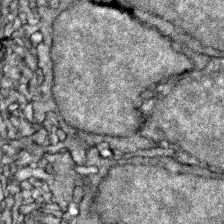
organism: Zebrafish